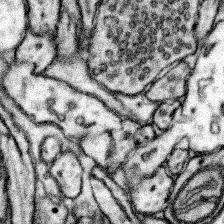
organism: Mouse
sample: Somatosensory cortex neuropil